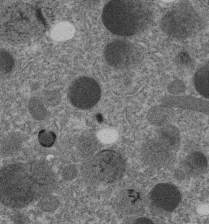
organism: C. elegans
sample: C. elegans embryo early stage